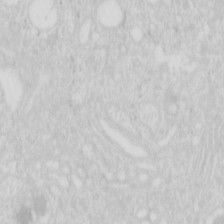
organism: Mouse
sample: Pancreas